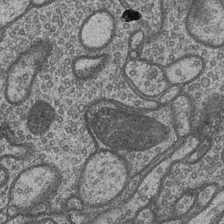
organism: Drosophila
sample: Optic medulla